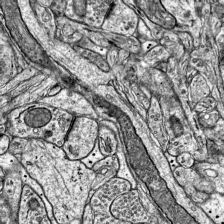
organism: Mouse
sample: Visual Cortex